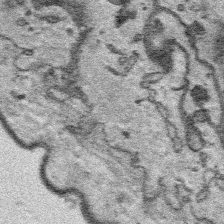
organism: Platynereis dumerilii